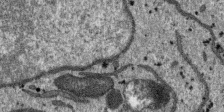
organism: Human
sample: Lung epithelial cells, uninfected (mock) control